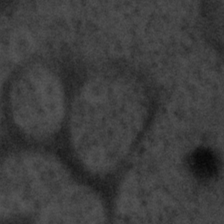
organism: Tuwongella immobilis